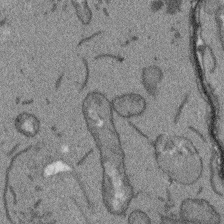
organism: Arabidopsis thaliana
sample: Root tip